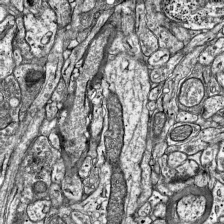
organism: Mouse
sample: Visual Cortex